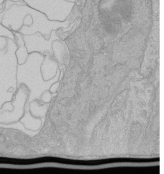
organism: Human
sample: Retinal organoid Rod and Cone cells